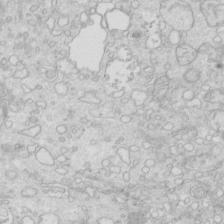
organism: Mouse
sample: Multiciliated cells